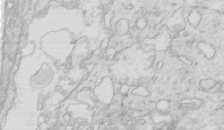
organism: Mouse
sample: Multiciliated cells